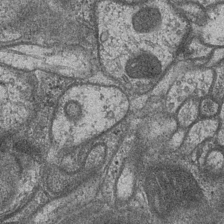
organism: Drosophila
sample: Optic medulla